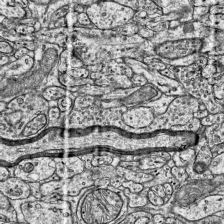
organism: Mouse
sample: Visual Cortex